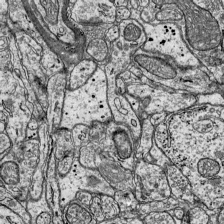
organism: Mouse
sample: Visual Cortex